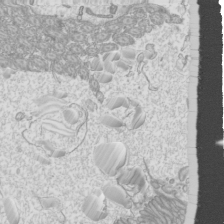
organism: Mouse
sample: Cilia; mouse epididymis